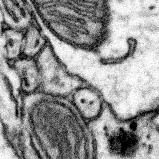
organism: Mouse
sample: Somatosensory cortex neuropil